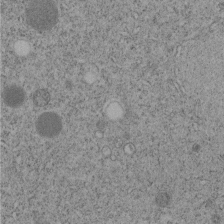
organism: C. elegans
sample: C. elegans embryo early stage